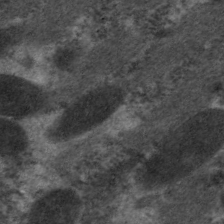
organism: C. elegans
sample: Pharynx